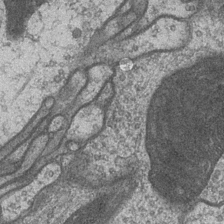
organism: Drosophila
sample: Optic medulla